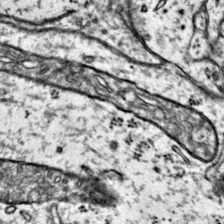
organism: Mouse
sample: Primary visual cortex